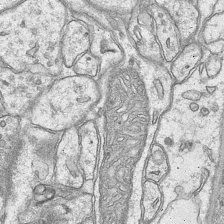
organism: Mouse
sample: CA1 Hippocampus